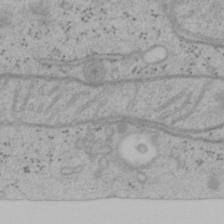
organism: Human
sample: HeLa cells